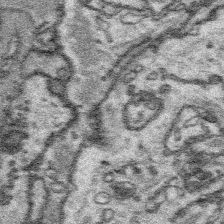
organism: Platynereis dumerilii